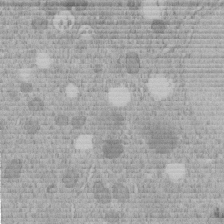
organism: C. elegans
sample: C. elegans embryo early stage